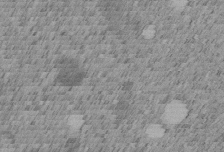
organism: C. elegans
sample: C. elegans embryo early stage